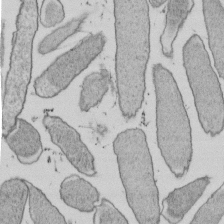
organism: E. coli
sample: Bacterial nucleoid